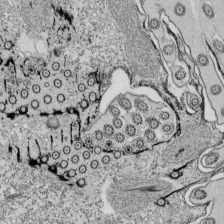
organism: Tetrahymena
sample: Cilia in tetrahymena